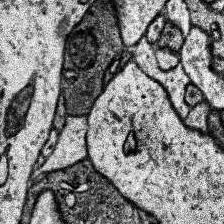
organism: Human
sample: Temporal Lobe